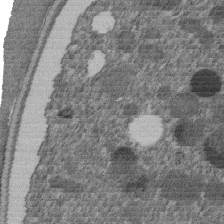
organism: C. elegans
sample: C. elegans embryo early stage